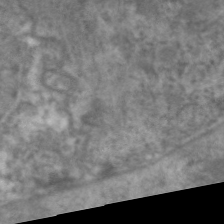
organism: C. elegans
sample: Pharynx